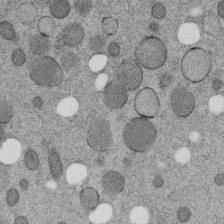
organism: C. elegans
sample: C. elegans embryo early stage